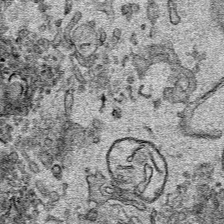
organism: Human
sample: Mitochondria in HCT116 cells